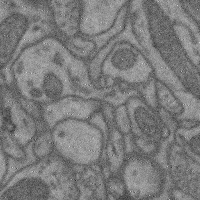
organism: Mouse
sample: Cerebral cortex